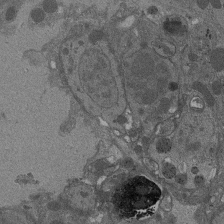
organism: Drosophila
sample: Antenna